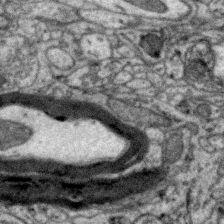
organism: Zebra finch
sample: Brain